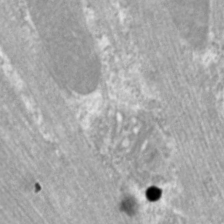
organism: C. elegans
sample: Pharynx